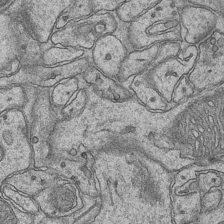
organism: Mouse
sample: CA1 Hippocampus